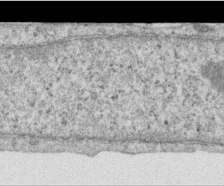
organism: Human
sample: Centriole in RPE cells